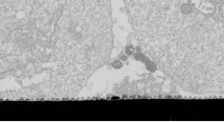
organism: Drosophila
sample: Cell division; meiosis; drosophila spermatocytes